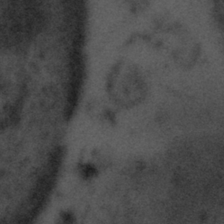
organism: Tuwongella immobilis